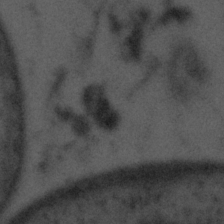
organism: Tuwongella immobilis